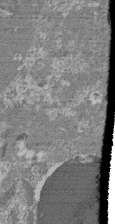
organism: Mouse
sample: Glomerulus